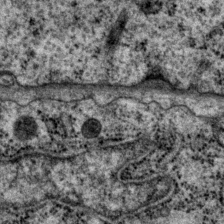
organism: P. pacificus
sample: Pharynx